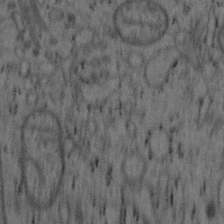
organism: Human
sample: HeLa cells